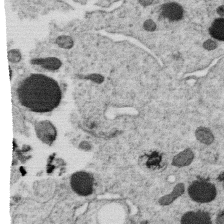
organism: C. elegans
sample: C. elegans oocyte; sperm cells